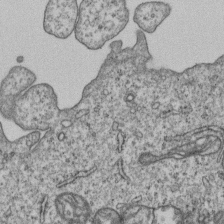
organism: Human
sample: MDA-MB-231 cells